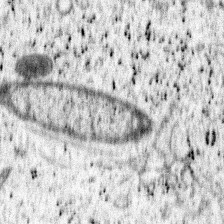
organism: Human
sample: HeLa cells